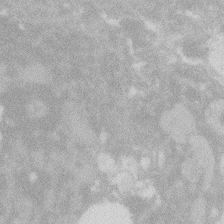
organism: Zebrafish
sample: Macrophage